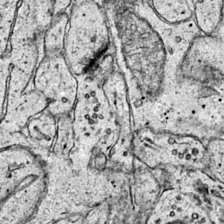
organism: Mouse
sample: Primary visual cortex